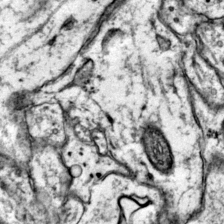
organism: Mouse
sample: Primary visual cortex